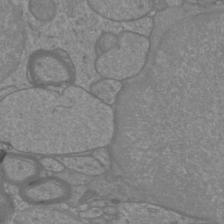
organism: Mouse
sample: Cortical neurons